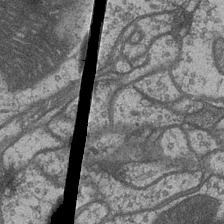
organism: Drosophila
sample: Optic medulla